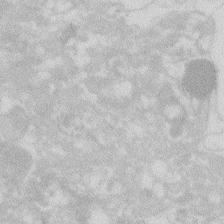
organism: Zebrafish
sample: Macrophage